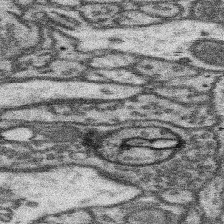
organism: Mouse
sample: Somatosensory cortex neuropil